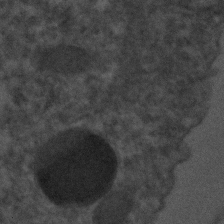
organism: C. elegans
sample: C. elegans embryo